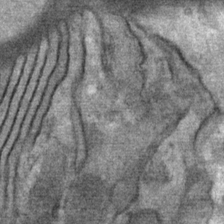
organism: Mouse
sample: Mouse Salivary gland